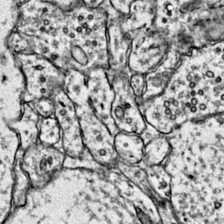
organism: Mouse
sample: Primary visual cortex